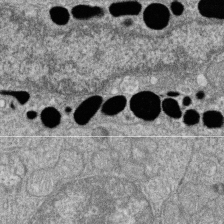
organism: Zebrafish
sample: Cilia; retinal pigment epithelium